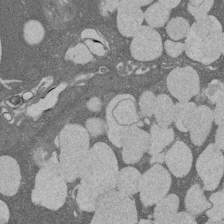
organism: Rat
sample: Salivary granule